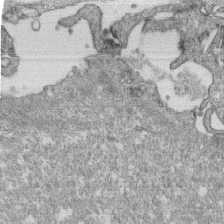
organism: African green monkey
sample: Vero E6 cells infected with SARS-CoV-2